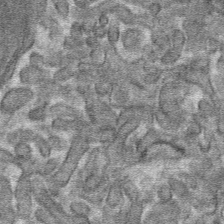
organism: Mouse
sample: Mouse hepatocytes